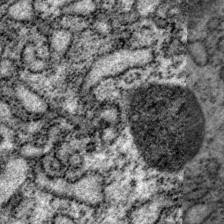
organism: P. pacificus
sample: Pharynx